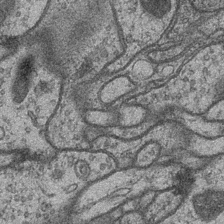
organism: Drosophila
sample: Optic medulla